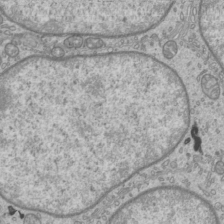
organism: Mouse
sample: Cilia; mouse epididymis